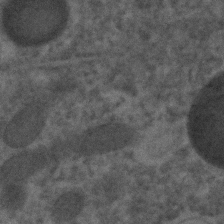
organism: C. elegans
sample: C. elegans embryo